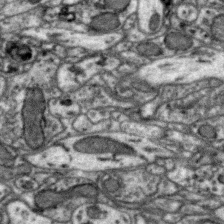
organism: Zebra finch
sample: Brain